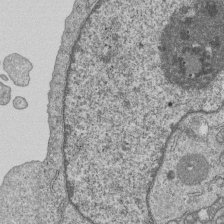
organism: Human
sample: MDA-MB-231 cells